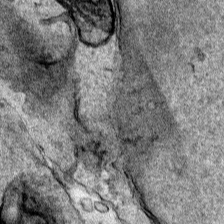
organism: Human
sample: Mitochondria in HCT116 cells